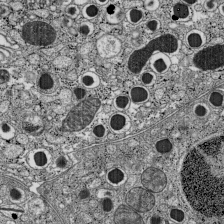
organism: C57BL Mouse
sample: Pancreatic islet